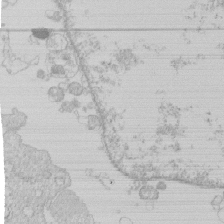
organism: Human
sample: Macrophage cells